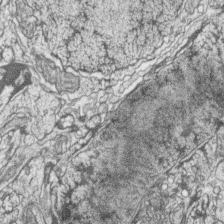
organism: Zebrafish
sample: synaptic ribbons in rod cells and cone cells